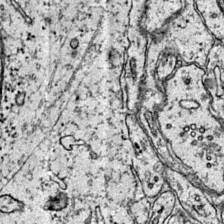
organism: Mouse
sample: Primary visual cortex